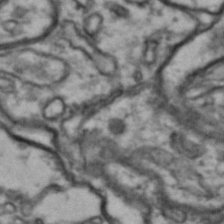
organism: Drosophila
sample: Brain